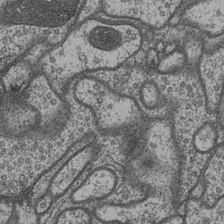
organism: Drosophila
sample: Optic medulla